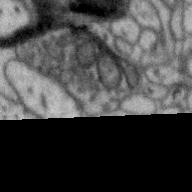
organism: Zebra finch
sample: Brain